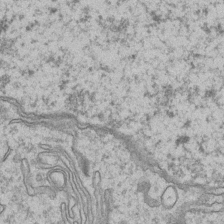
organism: Mouse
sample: CA1 Hippocampus